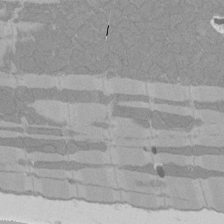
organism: Rat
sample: Left ventricle